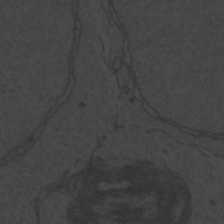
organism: Zebrafish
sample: Macrophage infected with Toxoplasma gondii